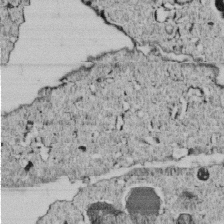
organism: C. elegans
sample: C. elegans embryo early stage